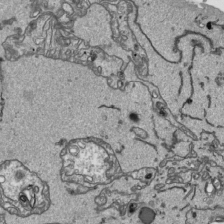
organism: Human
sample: Mitochondria in HCT116 cells